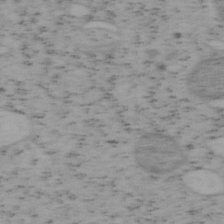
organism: Mouse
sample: OT-I killer T cells with ID8 ovarian cancer cells